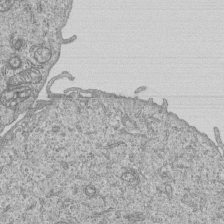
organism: Human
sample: MDA-MB-231 cells